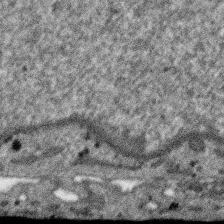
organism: Human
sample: Lung epithelial cells infected with SARS-CoV-2